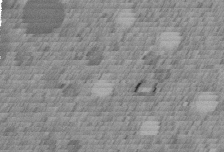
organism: C. elegans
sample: C. elegans embryo early stage